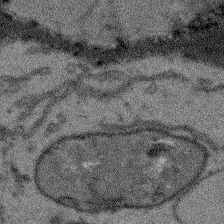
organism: Arabidopsis thaliana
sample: Root tip